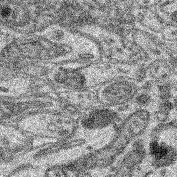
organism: Mouse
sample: Retina